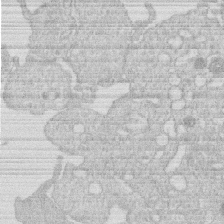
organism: Human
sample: Macrophage cells